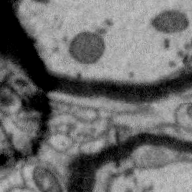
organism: Zebra finch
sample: Brain